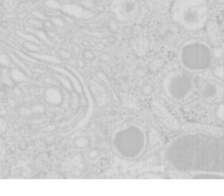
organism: Mouse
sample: Pancreas